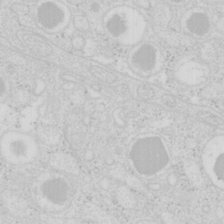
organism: Mouse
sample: Pancreas